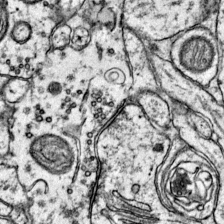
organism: Mouse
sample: Primary visual cortex